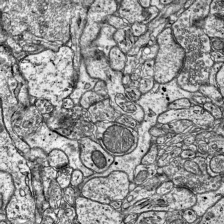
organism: Mouse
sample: Visual Cortex